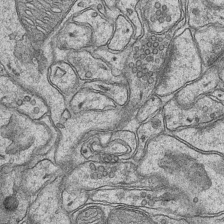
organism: Mouse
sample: CA1 Hippocampus